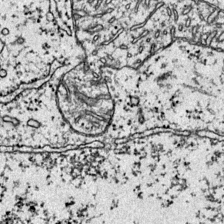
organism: Mouse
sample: Primary visual cortex